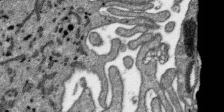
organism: Human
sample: Lung epithelial cells, uninfected (mock) control